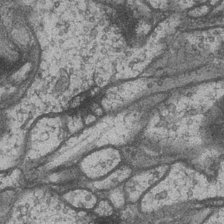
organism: Drosophila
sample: Optic medulla